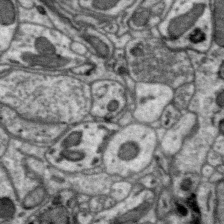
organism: Zebra finch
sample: Brain